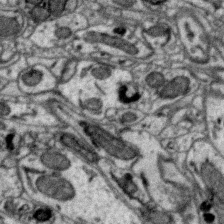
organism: Zebra finch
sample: Brain